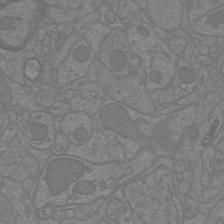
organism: Mouse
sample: Cortical neurons